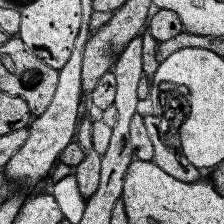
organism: Human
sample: Temporal Lobe